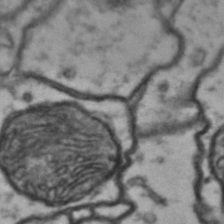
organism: Drosophila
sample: Brain